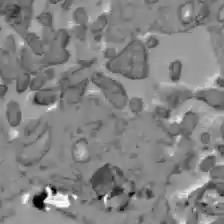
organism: C57BL Mouse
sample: Liver